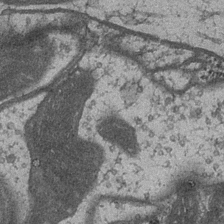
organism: Drosophila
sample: Optic medulla